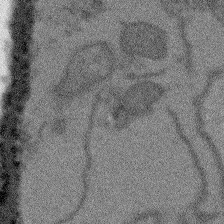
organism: Arabidopsis thaliana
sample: Root tip